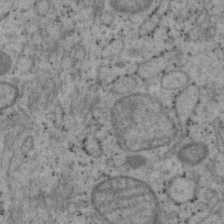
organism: Human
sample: HeLa cells